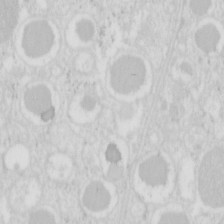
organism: Mouse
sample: Pancreas